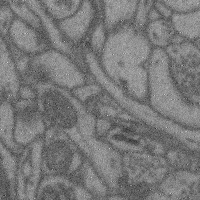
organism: Mouse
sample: Cerebral cortex